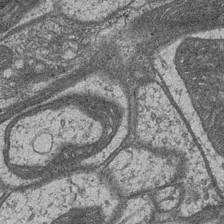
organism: Drosophila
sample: Optic medulla